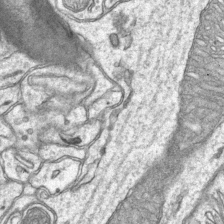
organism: Mouse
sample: CA1 Hippocampus